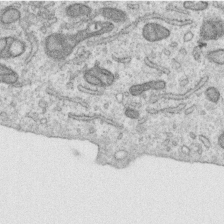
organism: Human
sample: Centriole in RPE cells